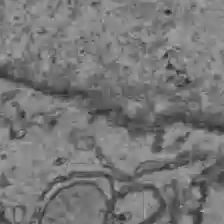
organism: C57BL Mouse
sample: Liver